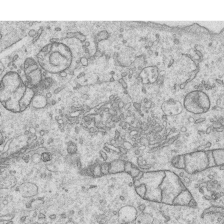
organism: Human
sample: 1205lu cells